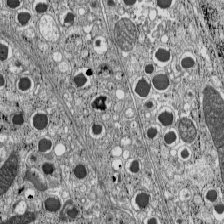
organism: C57BL Mouse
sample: Pancreatic islet